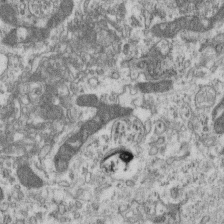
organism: Mouse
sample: Centriole in ependymal cells